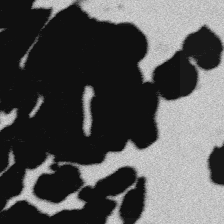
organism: Platynereis dumerilii